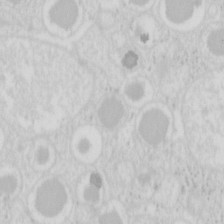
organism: Mouse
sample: Pancreas